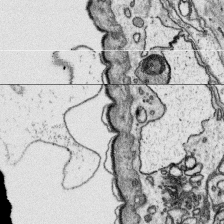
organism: Platynereis dumerilii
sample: Parapodia